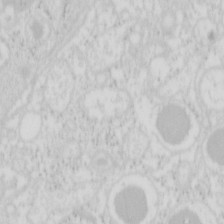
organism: Mouse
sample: Pancreas